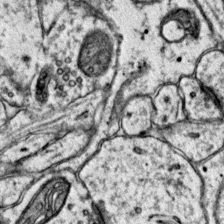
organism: Mouse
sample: Primary visual cortex